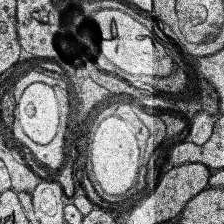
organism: Human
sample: Temporal Lobe